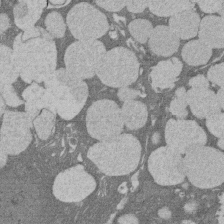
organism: Rat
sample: Salivary granule